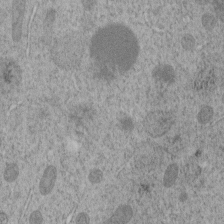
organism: C. elegans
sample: C. elegans embryo early stage